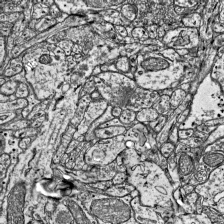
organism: Mouse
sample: Visual Cortex